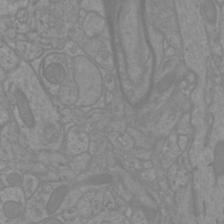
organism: Mouse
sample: Cortical neurons